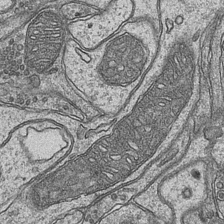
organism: Mouse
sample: CA1 Hippocampus